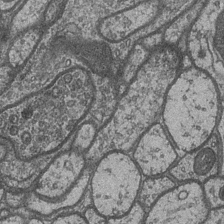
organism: Drosophila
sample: Optic medulla